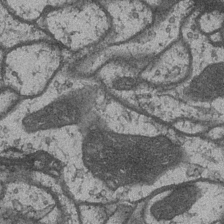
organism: Drosophila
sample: Optic medulla